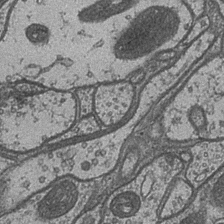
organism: Drosophila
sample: Optic medulla